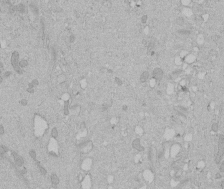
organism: Human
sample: Melanocyte Keratinocyte synapse skin construct